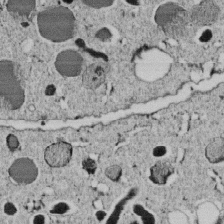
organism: C. elegans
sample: C. elegans embryo early stage